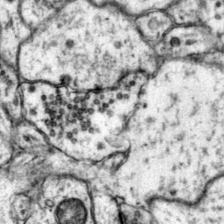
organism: Mouse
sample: Primary visual cortex